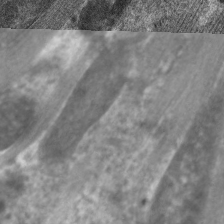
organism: C. elegans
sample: Pharynx